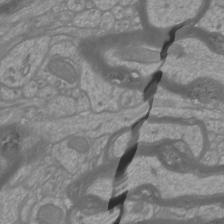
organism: Mouse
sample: Cortical neurons